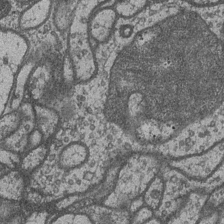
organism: Drosophila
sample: Optic medulla